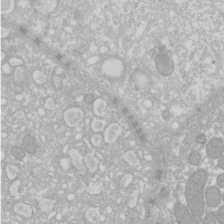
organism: Xenopus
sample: Cilia; centrioles in frog embryo cells